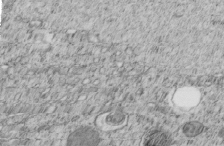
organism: C. elegans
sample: C. elegans embryo early stage